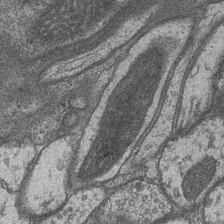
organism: Drosophila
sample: Optic medulla